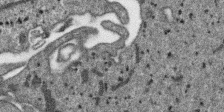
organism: Human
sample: Lung epithelial cells infected with SARS-CoV-2